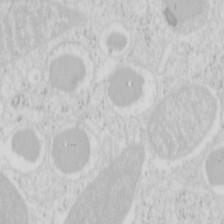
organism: Mouse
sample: Pancreas